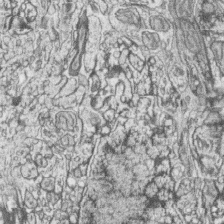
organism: Zebrafish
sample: synaptic ribbons in rod cells and cone cells